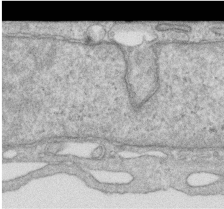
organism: Human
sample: Centriole in RPE cells